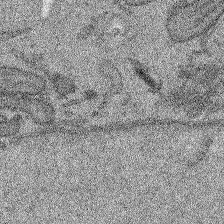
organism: Human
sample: HeLa cells